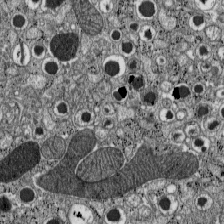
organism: C57BL Mouse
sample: Pancreatic islet